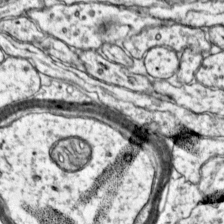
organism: Mouse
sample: Primary visual cortex